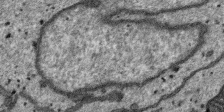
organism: Human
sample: Lung epithelial cells, uninfected (mock) control